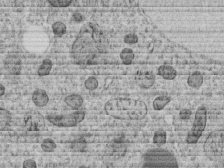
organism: C. elegans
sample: C. elegans embryo early stage